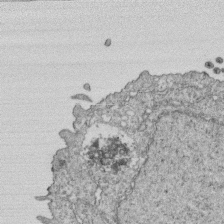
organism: Human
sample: HeLa cell HIV synapse